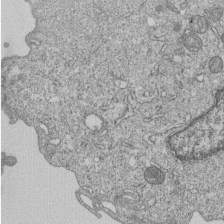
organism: Human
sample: MDA-MB-231 cells